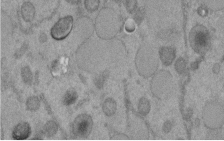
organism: C. elegans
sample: C. elegans embryo early stage